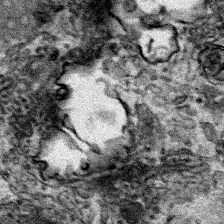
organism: Human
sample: Mitochondria in HCT116 cells